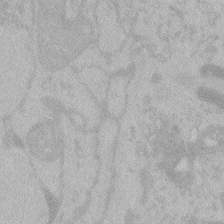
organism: Zebrafish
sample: Macrophage infected with Toxoplasma gondii